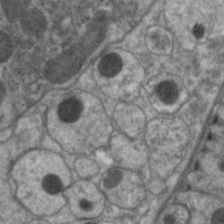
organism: C. elegans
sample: Pharynx